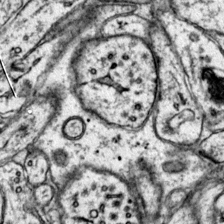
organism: Mouse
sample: Primary visual cortex